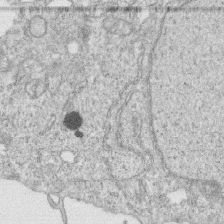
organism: Human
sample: HeLa cell HIV synapse